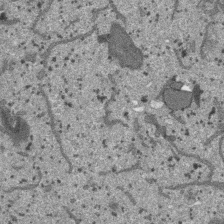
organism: Human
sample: Lung epithelial cells infected with SARS-CoV-2